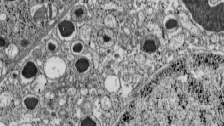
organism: C57BL Mouse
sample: Pancreatic islet